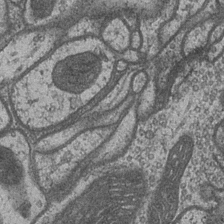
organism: Drosophila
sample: Optic medulla